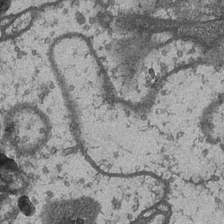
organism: Drosophila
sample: Optic medulla